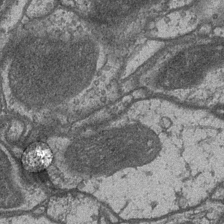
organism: Drosophila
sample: Optic medulla